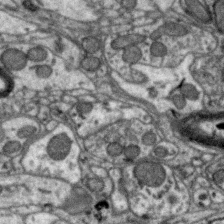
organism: Zebra finch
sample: Brain